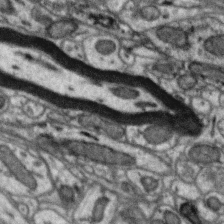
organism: Zebra finch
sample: Brain